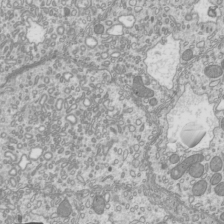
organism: Mouse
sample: Cilia; mouse epididymis